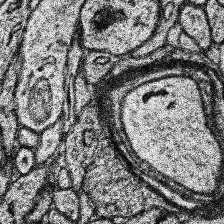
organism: Human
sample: Temporal Lobe